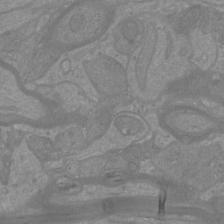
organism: Mouse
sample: Cortical neurons